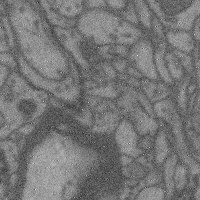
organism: Mouse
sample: Cerebral cortex